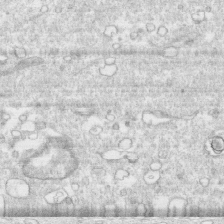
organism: Human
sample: CRL-1474